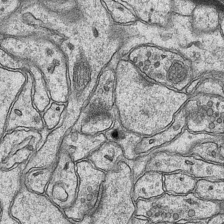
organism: Mouse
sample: CA1 Hippocampus